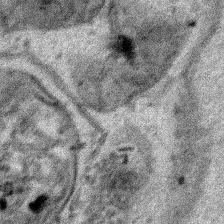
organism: Human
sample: Mitochondria in HCT116 cells